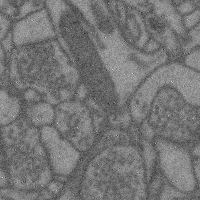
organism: Mouse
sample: Cerebral cortex